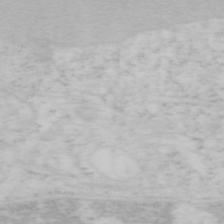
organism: Mouse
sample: OT-I killer T cells with ID8 ovarian cancer cells